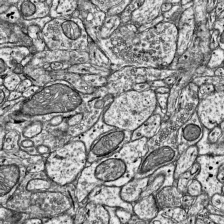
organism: Mouse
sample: Visual Cortex